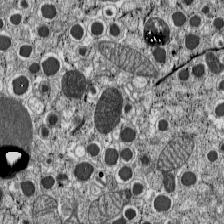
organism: C57BL Mouse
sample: Pancreatic islet